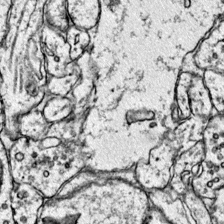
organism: Mouse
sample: Primary visual cortex